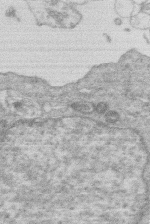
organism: Human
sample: Macrophage cells